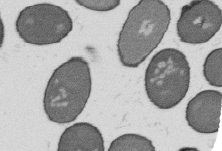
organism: B. subtilis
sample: Bacterial spore